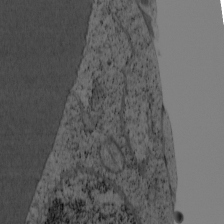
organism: African green monkey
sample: COS-7 cells